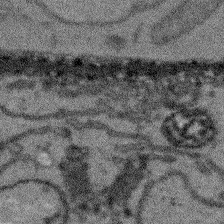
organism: Arabidopsis thaliana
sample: Root tip